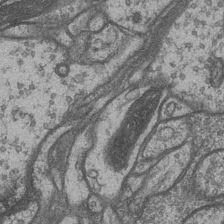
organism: Drosophila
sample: Optic medulla